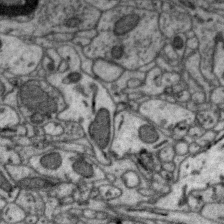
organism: Zebra finch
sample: Brain